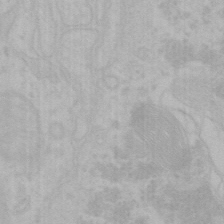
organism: Mouse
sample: Choroid plexus